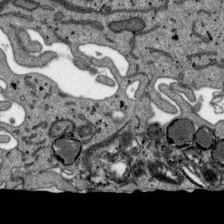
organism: Human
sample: Lung epithelial cells, uninfected (mock) control